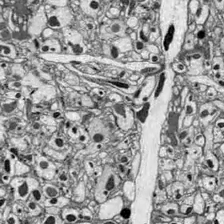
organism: Drosophila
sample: Optic lobe